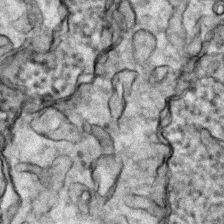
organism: Zebrafish